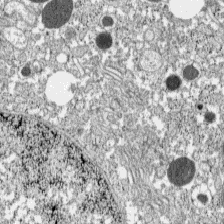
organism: C57BL Mouse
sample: Pancreatic islet